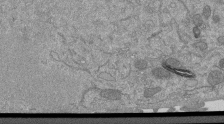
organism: Mouse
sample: ED-1 cell nuclei; centrioles